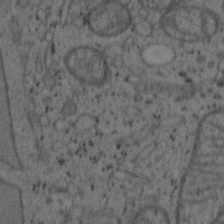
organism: Human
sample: HeLa cells